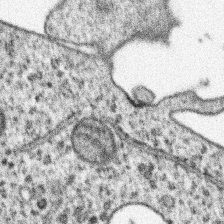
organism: Human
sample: HeLa cells